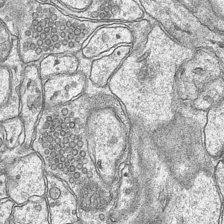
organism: Mouse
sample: CA1 Hippocampus